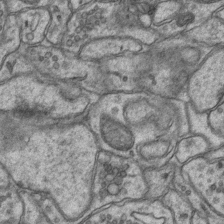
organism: Mouse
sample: CA1 Hippocampus